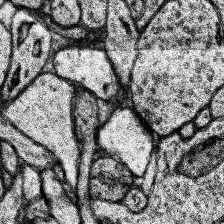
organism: Human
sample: Temporal Lobe